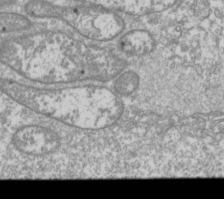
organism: Drosophila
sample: Cell division; meiosis; drosophila spermatocytes